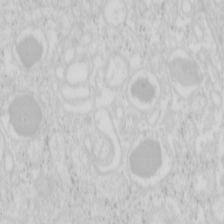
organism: Mouse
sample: Pancreas